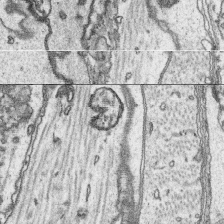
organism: Platynereis dumerilii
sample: Parapodia